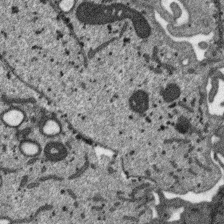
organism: Human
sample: Lung epithelial cells infected with SARS-CoV-2